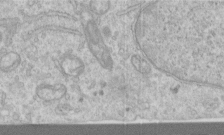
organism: Human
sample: Centriole in RPE cells